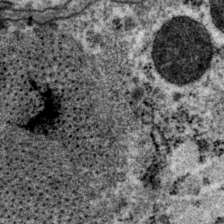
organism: P. pacificus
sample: Pharynx